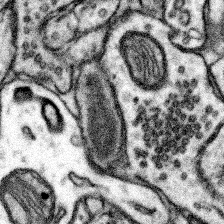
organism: Mouse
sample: Somatosensory cortex neuropil